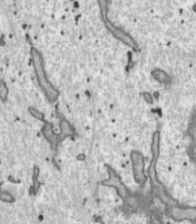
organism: Toxoplasma gondii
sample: Parasites in a vacuole inside a host cell